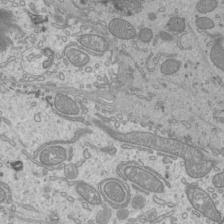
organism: Mouse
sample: Cilia; mouse epididymis